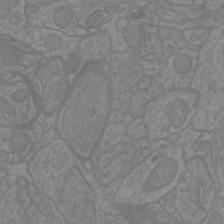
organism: Mouse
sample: Cortical neurons